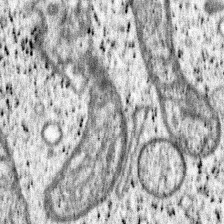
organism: Human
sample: HeLa cells